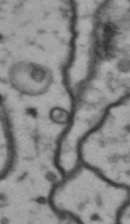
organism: Drosophila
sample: Brain